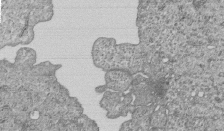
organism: Human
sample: MDA-MB-231 cells